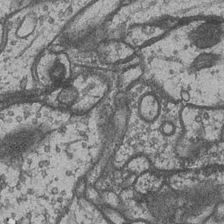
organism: Drosophila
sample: Optic medulla